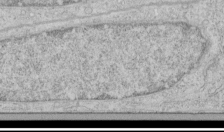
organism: Human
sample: Mitochondria in HCT116 cells